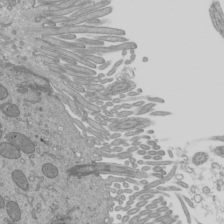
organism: Mouse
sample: Cilia; mouse epididymis